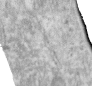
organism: Human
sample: Centriole in RPE cells